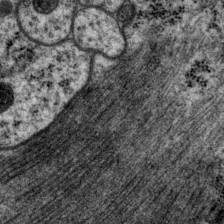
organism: P. pacificus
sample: Pharynx